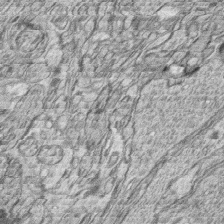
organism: Zebrafish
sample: synaptic ribbons in rod cells and cone cells